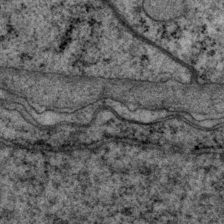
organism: P. pacificus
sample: Pharynx